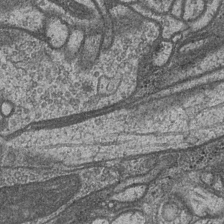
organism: Drosophila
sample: Optic medulla